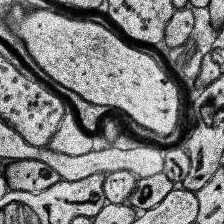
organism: Human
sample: Temporal Lobe